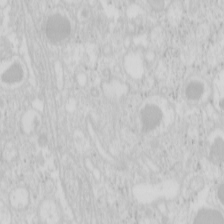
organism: Mouse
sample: Pancreas